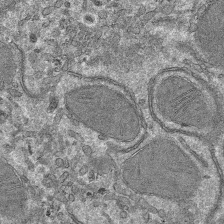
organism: Mouse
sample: Mouse hepatocytes